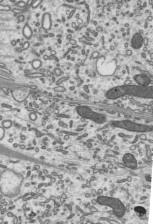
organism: Mouse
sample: Mouse epididymis efferent ductule cilia